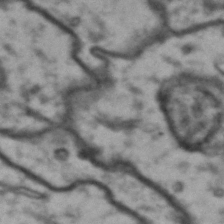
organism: Drosophila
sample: Brain